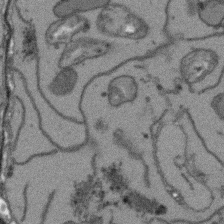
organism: Arabidopsis thaliana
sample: Root tip